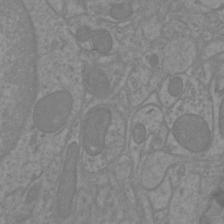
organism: Mouse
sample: Cortical neurons